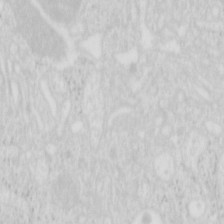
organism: Mouse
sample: Pancreas